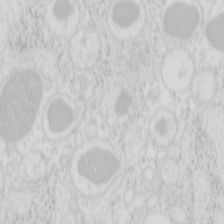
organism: Mouse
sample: Pancreas